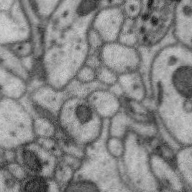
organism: Zebra finch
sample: Brain